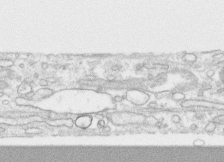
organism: Human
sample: CRL-1474